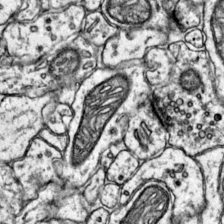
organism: Mouse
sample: Primary visual cortex